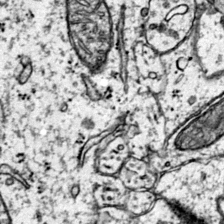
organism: Mouse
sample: Primary visual cortex